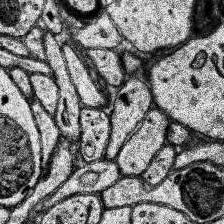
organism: Human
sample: Temporal Lobe